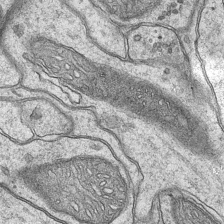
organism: Mouse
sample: CA1 Hippocampus